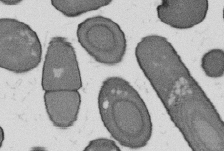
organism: B. subtilis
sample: Bacterial spore